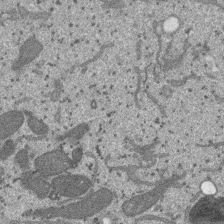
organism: Human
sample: Lung epithelial cells infected with SARS-CoV-2